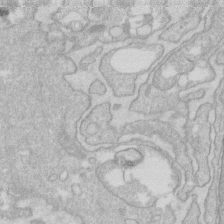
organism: Human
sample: Fibroblast cells